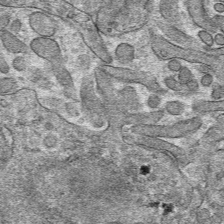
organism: Mouse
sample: Mouse hepatocytes